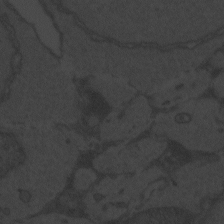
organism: Zebrafish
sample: Macrophage infected with Toxoplasma gondii